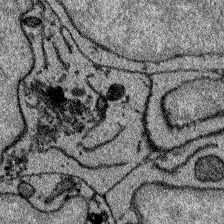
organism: Zebrafish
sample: Larval olfactory bulb